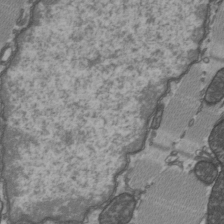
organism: C57BL Mouse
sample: Heart